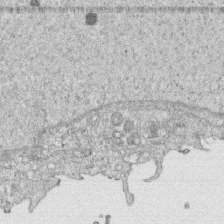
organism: Human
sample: HeLa cell HIV synapse